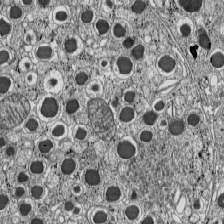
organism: C57BL Mouse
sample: Pancreatic islet